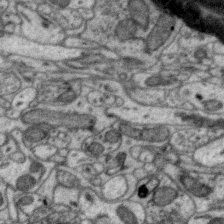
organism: Zebra finch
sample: Brain